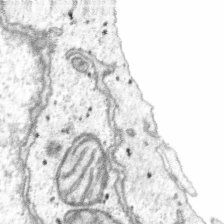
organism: Human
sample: HeLa cells